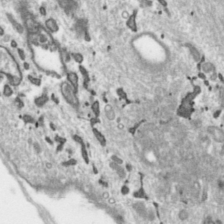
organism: Toxoplasma gondii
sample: Parasites in a vacuole inside a host cell